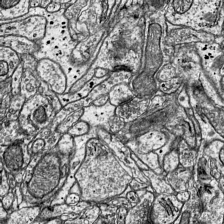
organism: Mouse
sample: Visual Cortex